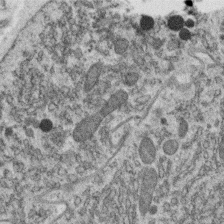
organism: C. elegans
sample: C. elegans oocyte; sperm cells